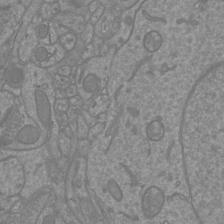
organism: Mouse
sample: Cortical neurons